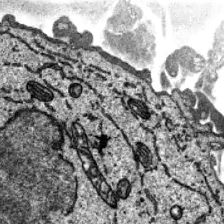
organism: Human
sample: HeLa cells